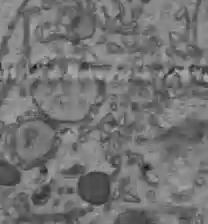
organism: C57BL Mouse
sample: Liver